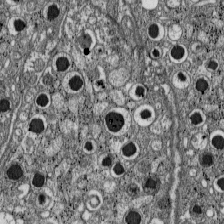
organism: C57BL Mouse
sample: Pancreatic islet